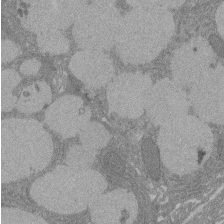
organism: Rat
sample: Salivary granule